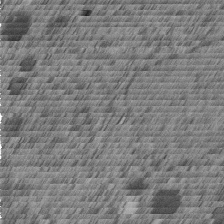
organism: C. elegans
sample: C. elegans embryo early stage